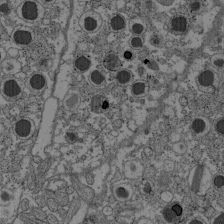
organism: C57BL Mouse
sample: Pancreatic islet